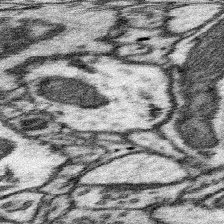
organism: Mouse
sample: Somatosensory cortex neuropil